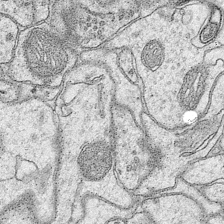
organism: Mouse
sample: CA1 Hippocampus